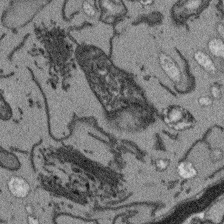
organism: Arabidopsis thaliana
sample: Root tip